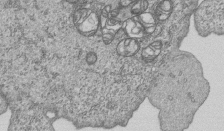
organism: Human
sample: MDA-MB-231 cells